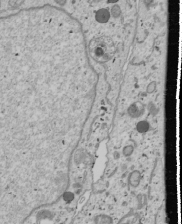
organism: Human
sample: Mitochondria in U2OS cells